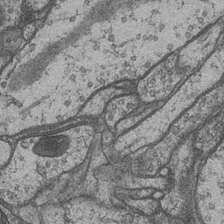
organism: Drosophila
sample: Optic medulla